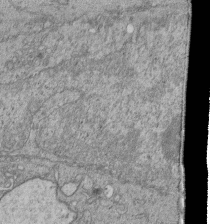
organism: Human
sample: Retinal organoid Rod and Cone cells